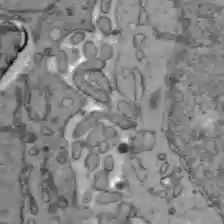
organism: C57BL Mouse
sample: Liver